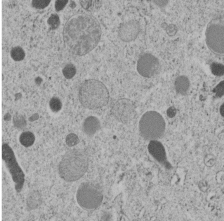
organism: C. elegans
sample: C. elegans embryo early stage